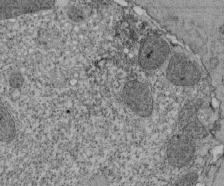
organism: Tetrahymena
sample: Cilia in tetrahymena